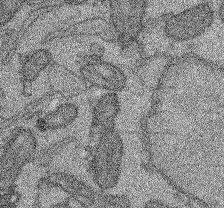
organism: Human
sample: HeLa cells